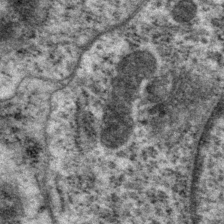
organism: P. pacificus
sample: Pharynx